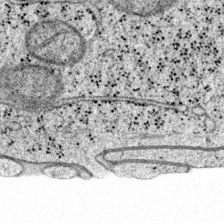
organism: Human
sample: HeLa cells